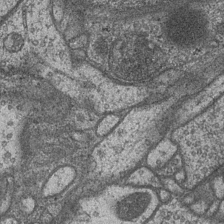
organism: Drosophila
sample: Optic medulla